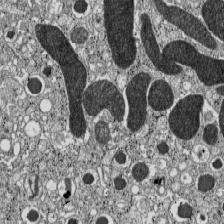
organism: C57BL Mouse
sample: Pancreatic islet